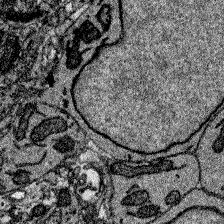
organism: Zebrafish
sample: Larval olfactory bulb